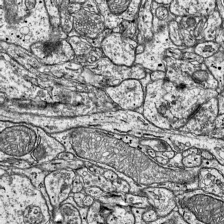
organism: Mouse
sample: Visual Cortex